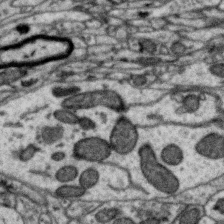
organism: Zebra finch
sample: Brain